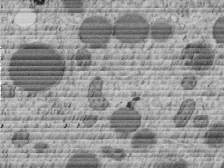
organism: C. elegans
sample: C. elegans embryo early stage